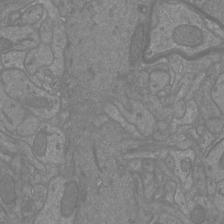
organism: Mouse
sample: Cortical neurons